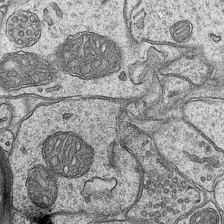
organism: Mouse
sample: CA1 Hippocampus